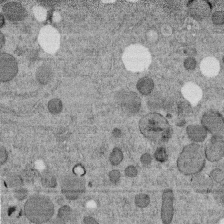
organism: C. elegans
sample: C. elegans embryo early stage